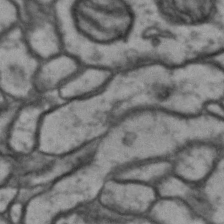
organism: Drosophila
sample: Brain